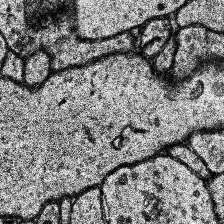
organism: Human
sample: Temporal Lobe